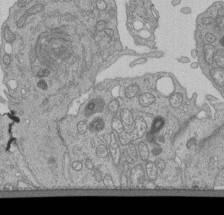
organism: Human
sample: Retinal organoid Rod and Cone cells